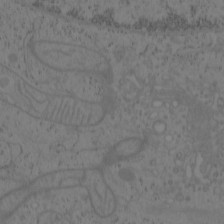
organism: Human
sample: HeLa cells